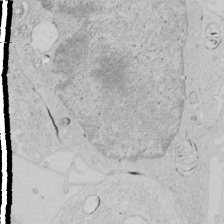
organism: Human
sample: Mitochondria in HCT116 cells